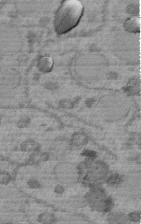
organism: C. elegans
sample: C. elegans embryo early stage